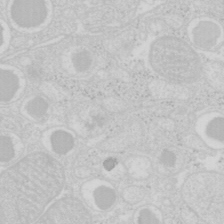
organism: Mouse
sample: Pancreas